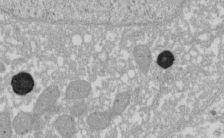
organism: Xenopus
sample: Cilia; centrioles in frog embryo cells